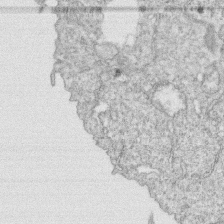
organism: Human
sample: HeLa cell HIV synapse